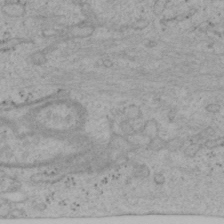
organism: Human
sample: HeLa cells